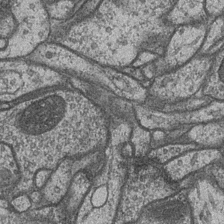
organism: Drosophila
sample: Optic medulla